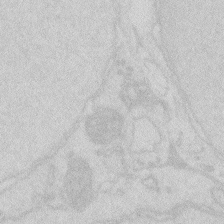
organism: Zebrafish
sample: Macrophage